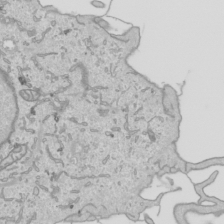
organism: Human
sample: Mitochondria in HCT116 cells